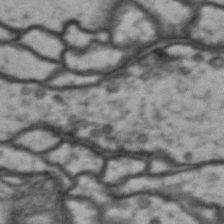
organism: Drosophila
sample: Brain